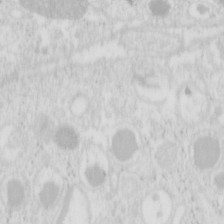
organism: Mouse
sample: Pancreas